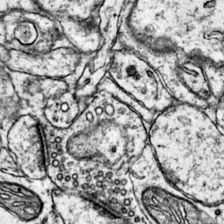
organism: Mouse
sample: Primary visual cortex